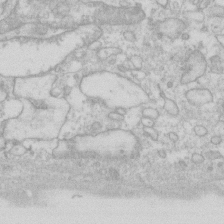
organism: Human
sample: Fibroblast cells